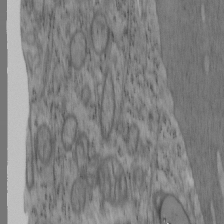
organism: Human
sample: HeLa cells